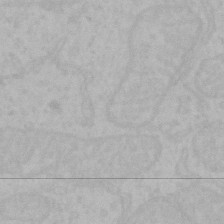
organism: Mouse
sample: Choroid plexus